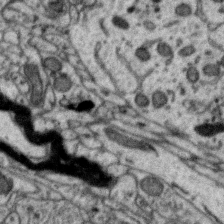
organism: Zebra finch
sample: Brain